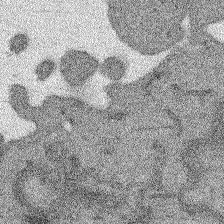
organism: Human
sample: HeLa cells